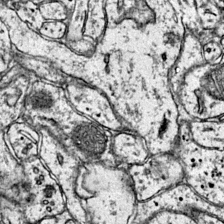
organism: Mouse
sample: Primary visual cortex